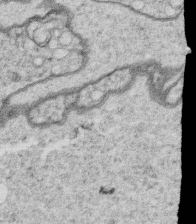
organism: C. elegans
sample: C. elegans oocyte; sperm cells